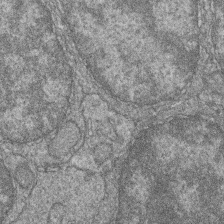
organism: Zebrafish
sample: Cilia; retinal pigment epithelium